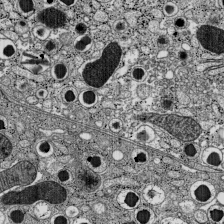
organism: C57BL Mouse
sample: Pancreatic islet